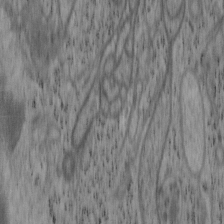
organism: Human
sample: HeLa cells